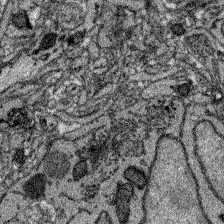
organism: Zebrafish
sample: Larval olfactory bulb